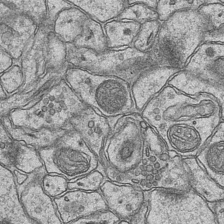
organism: Mouse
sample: CA1 Hippocampus